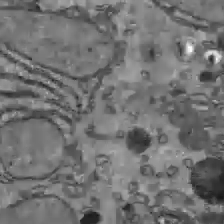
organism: C57BL Mouse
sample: Liver